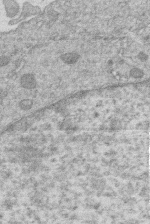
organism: Human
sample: Macrophage cells